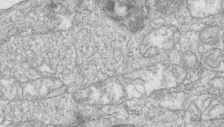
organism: Human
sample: HeLa cell HIV synapse